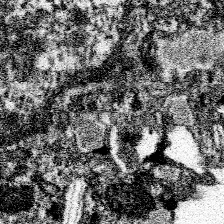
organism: Spongilla lacustris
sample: Neuroid cell